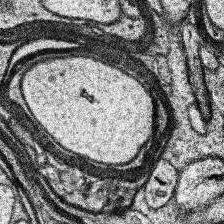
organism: Human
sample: Temporal Lobe